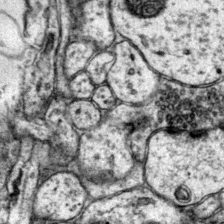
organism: Mouse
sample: Primary visual cortex